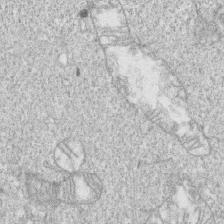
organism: Human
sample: HeLa cell HIV synapse